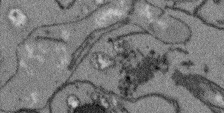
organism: Arabidopsis thaliana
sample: Root tip